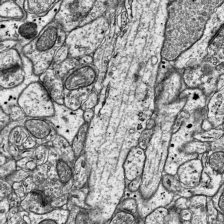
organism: Mouse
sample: Visual Cortex